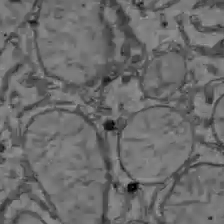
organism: C57BL Mouse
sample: Liver